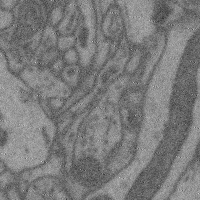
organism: Mouse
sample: Cerebral cortex